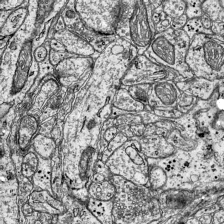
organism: Mouse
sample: Visual Cortex